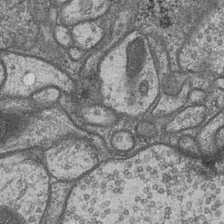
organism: Drosophila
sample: Optic medulla